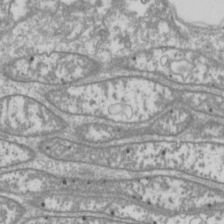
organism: Drosophila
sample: Cell division; meiosis; drosophila spermatocytes